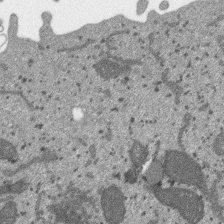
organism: Human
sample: Lung epithelial cells infected with SARS-CoV-2